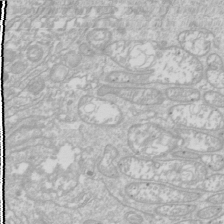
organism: Drosophila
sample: Cell division; meiosis; drosophila spermatocytes